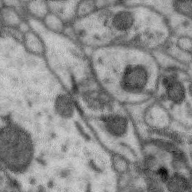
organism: Zebra finch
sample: Brain